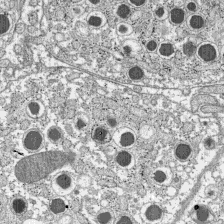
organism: C57BL Mouse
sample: Pancreatic islet